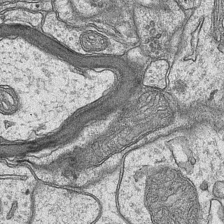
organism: Mouse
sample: CA1 Hippocampus